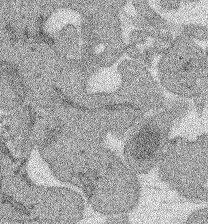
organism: Human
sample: HeLa cells